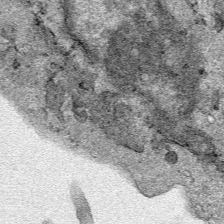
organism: Human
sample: Mitochondria in HCT116 cells